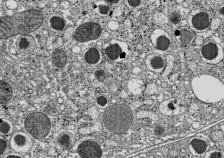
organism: C57BL Mouse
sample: Pancreatic islet